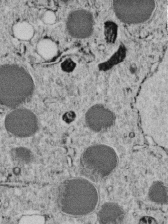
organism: C. elegans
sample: C. elegans embryo early stage